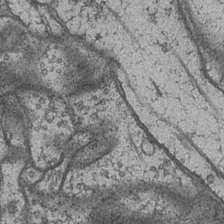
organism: Drosophila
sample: Optic medulla